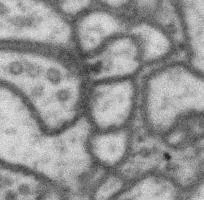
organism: Drosophila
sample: Protocerebral bridge